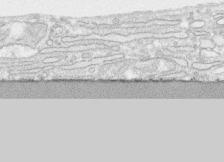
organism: Human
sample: CRL-1474